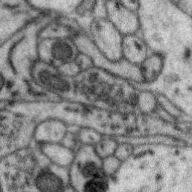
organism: Zebra finch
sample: Brain